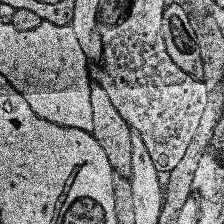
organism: Human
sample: Temporal Lobe